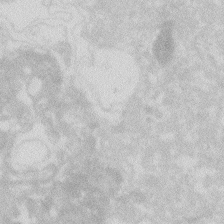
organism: Zebrafish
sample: Macrophage